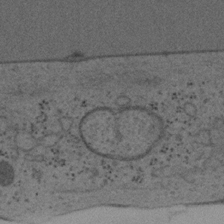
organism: Human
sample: HeLa cells